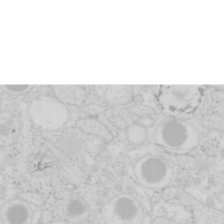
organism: Mouse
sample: Pancreas